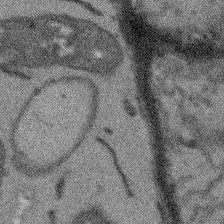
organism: Arabidopsis thaliana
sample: Root tip